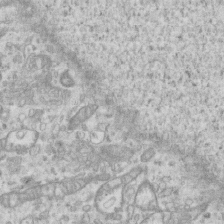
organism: Mouse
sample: Centriole in ependymal cells